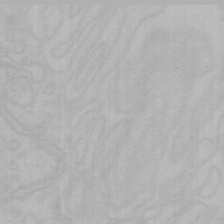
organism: Mouse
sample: Choroid plexus